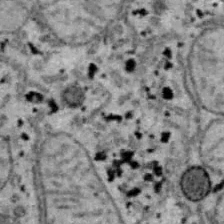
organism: Mouse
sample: Liver from an obese (ob/ob) mouse